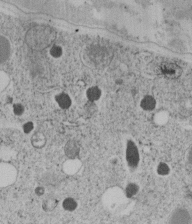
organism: C. elegans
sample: C. elegans embryo early stage